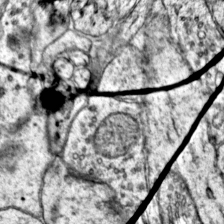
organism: Mouse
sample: Primary visual cortex